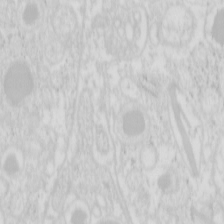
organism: Mouse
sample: Pancreas